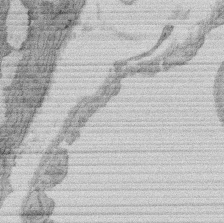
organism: Rat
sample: Salivary granule